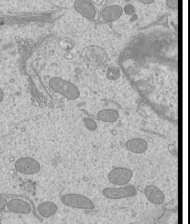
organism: Mouse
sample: Cilia; mouse epididymis